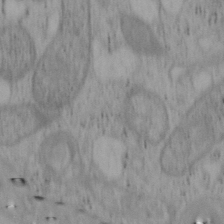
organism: Mouse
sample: OT-I killer T cells with ID8 ovarian cancer cells